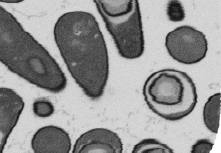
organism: B. subtilis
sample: Bacterial spore